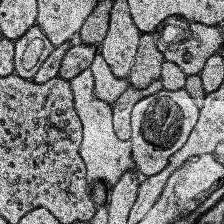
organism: Human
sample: Temporal Lobe